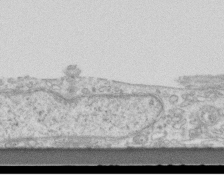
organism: Mouse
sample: Centriole in ependymal cells